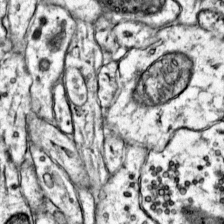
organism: Mouse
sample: Primary visual cortex